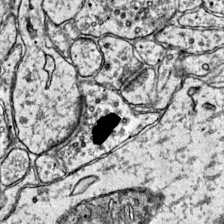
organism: Mouse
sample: Primary visual cortex